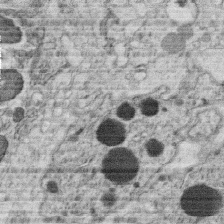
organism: C. elegans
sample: C. elegans oocyte; sperm cells